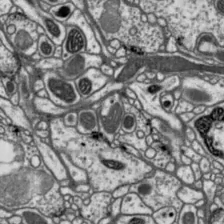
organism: Drosophila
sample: Protocerebral bridge